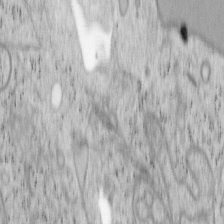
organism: Human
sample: HeLa cells